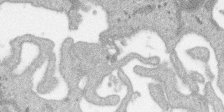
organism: Human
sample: Lung epithelial cells infected with SARS-CoV-2